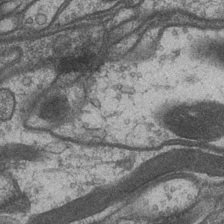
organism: Drosophila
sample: Optic medulla